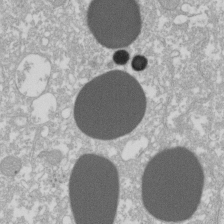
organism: Xenopus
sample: Cilia; centrioles in frog embryo cells